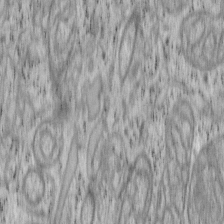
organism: Human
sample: HeLa cells